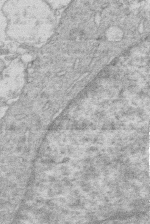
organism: Human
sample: Macrophage cells